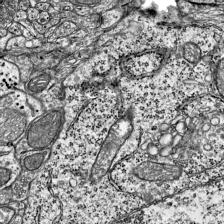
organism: Mouse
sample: Visual Cortex